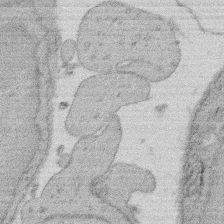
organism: Rat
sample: Salivary granule